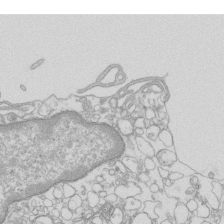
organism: Mouse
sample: Macrophages